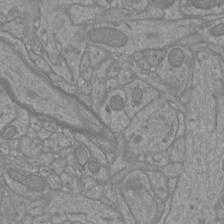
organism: Mouse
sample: Cortical neurons